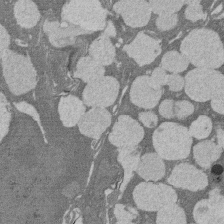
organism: Rat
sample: Salivary granule